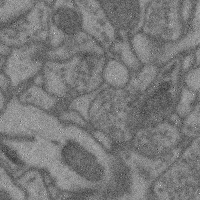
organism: Mouse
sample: Cerebral cortex